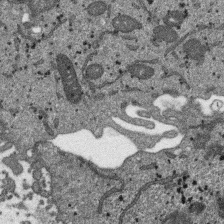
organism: Human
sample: Lung epithelial cells infected with SARS-CoV-2